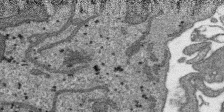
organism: Human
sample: Lung epithelial cells infected with SARS-CoV-2